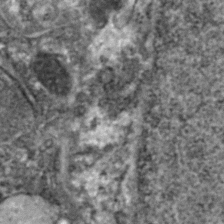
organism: Zebrafish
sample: Zebrafish embryo